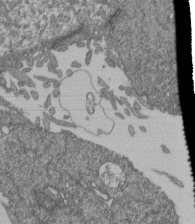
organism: Human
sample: Retinal organoid Rod and Cone cells